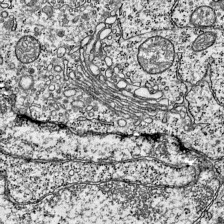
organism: Mouse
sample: Visual Cortex